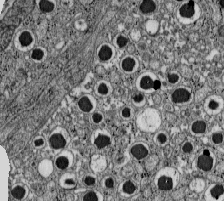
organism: C57BL Mouse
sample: Pancreatic islet